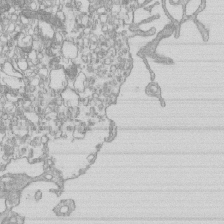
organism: Mouse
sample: Macrophages